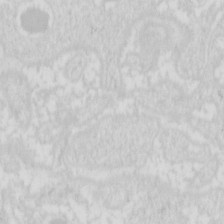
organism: Mouse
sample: Pancreas